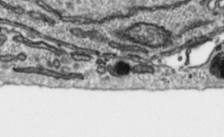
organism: Toxoplasma gondii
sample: Parasites in a vacuole inside a host cell